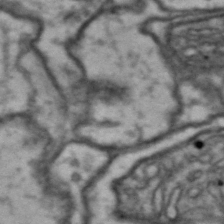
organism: Drosophila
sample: Brain